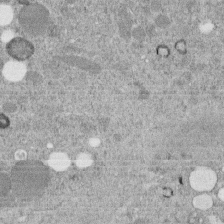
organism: C. elegans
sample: C. elegans embryo early stage